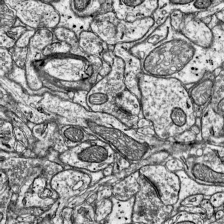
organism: Mouse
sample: Visual Cortex